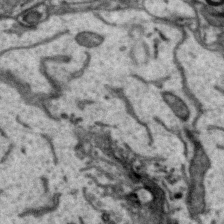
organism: Zebra finch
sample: Brain